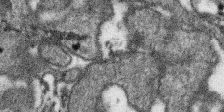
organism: Human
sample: Lung epithelial cells infected with SARS-CoV-2